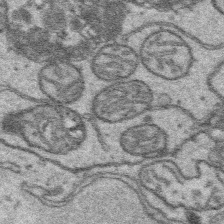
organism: Platynereis dumerilii